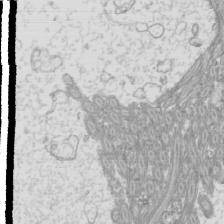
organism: Mouse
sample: Cilia; mouse epididymis